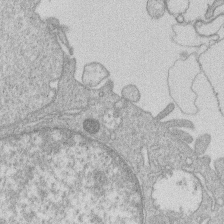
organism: Human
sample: Macrophage cells